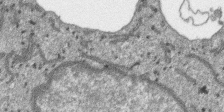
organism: Human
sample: Lung epithelial cells infected with SARS-CoV-2